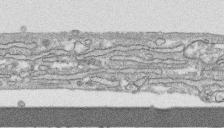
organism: Human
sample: CRL-1474